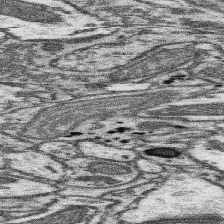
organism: Mouse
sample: Somatosensory cortex neuropil